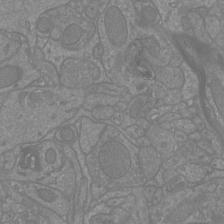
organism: Mouse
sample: Cortical neurons